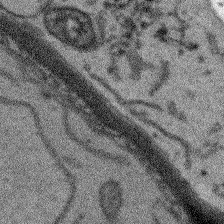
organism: Arabidopsis thaliana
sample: Root tip